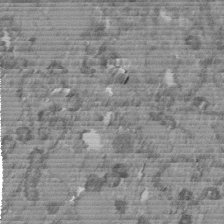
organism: C. elegans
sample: C. elegans embryo early stage